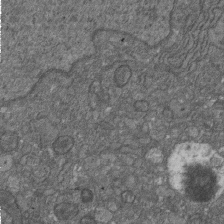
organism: Drosophila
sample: Nephrocyte